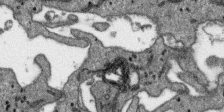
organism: Human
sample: Lung epithelial cells, uninfected (mock) control